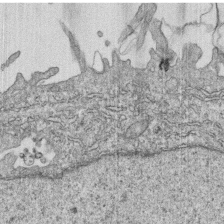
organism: Human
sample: HeLa cell HIV synapse